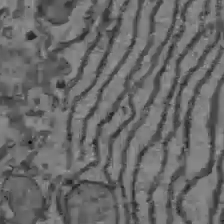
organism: C57BL Mouse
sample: Liver